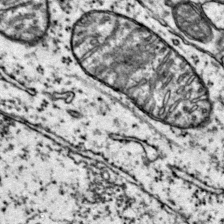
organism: Mouse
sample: Primary visual cortex